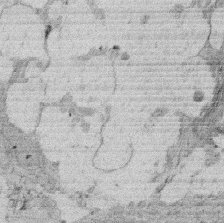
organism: Rat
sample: Salivary granule